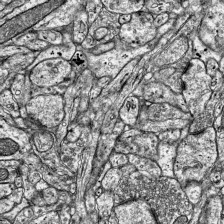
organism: Mouse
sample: Visual Cortex